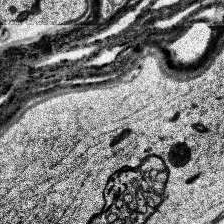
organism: Human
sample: Temporal Lobe